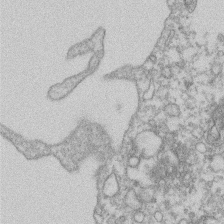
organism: Mouse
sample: T cell stromal cell synapse